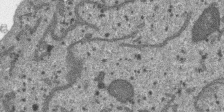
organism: Human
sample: Lung epithelial cells infected with SARS-CoV-2